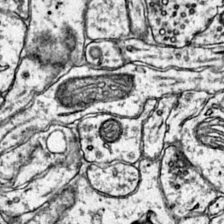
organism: Mouse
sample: Primary visual cortex